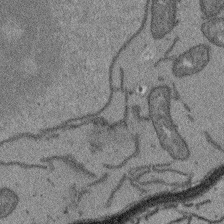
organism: Arabidopsis thaliana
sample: Root tip